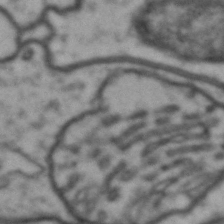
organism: Drosophila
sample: Brain